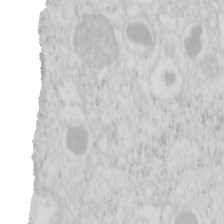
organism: Mouse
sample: Pancreas